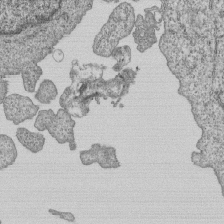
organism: Human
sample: MDA-MB-231 cells